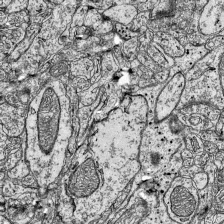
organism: Mouse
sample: Visual Cortex